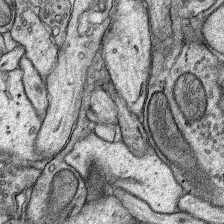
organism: Rat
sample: Hippocampus